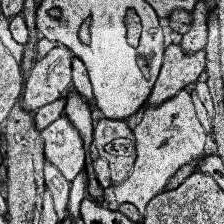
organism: Human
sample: Temporal Lobe